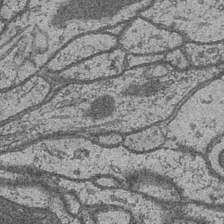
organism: Drosophila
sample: Optic medulla